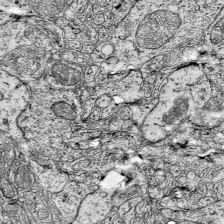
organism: Mouse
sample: Visual Cortex